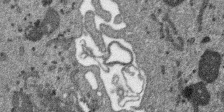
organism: Human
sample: Lung epithelial cells infected with SARS-CoV-2